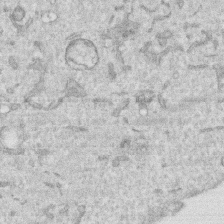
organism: Human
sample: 1205lu cells